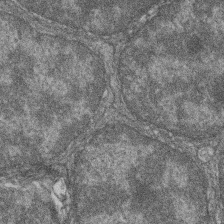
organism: Zebrafish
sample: Cilia; retinal pigment epithelium